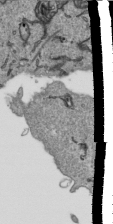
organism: Human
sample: Mitochondria in HCT116 cells